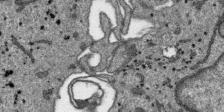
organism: Human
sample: Lung epithelial cells, uninfected (mock) control